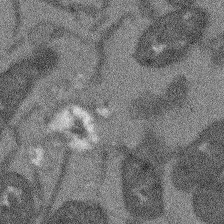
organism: Arabidopsis thaliana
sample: Root tip